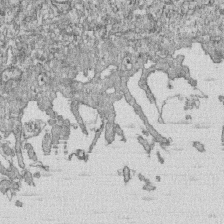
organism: Human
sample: HeLa cell HIV synapse